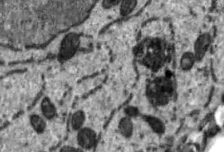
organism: Human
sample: HeLa cells